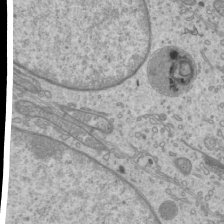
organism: Mouse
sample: Cilia; mouse epididymis